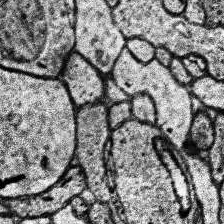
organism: Human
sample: Temporal Lobe